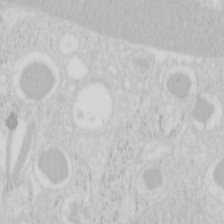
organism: Mouse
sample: Pancreas